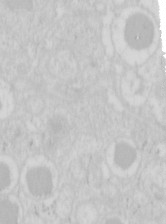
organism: Mouse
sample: Pancreas